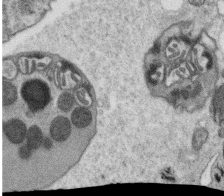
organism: C. elegans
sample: C. elegans oocyte; sperm cells